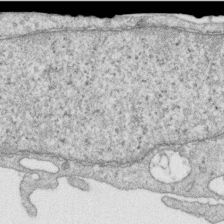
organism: Human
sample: Centriole in RPE cells